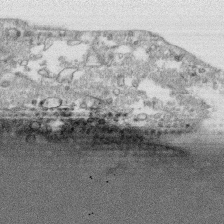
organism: Human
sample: CRL-1474